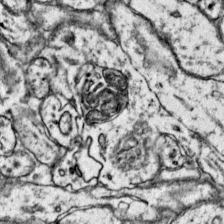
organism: Mouse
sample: Primary visual cortex